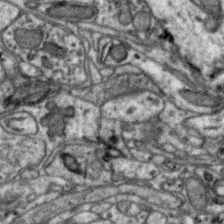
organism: Zebra finch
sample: Brain